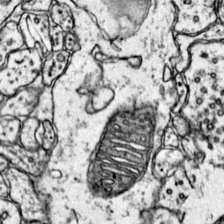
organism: Mouse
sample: Primary visual cortex